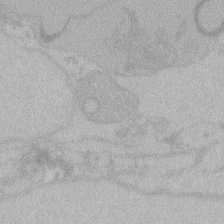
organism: Zebrafish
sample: Macrophage infected with Toxoplasma gondii